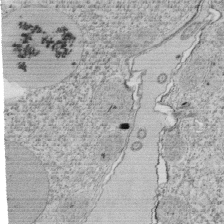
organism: Tetrahymena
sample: Cilia in tetrahymena